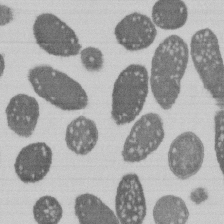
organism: E. coli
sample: Bacterial nucleoid